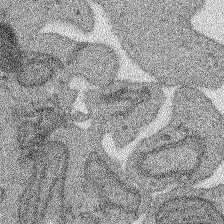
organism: Human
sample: HeLa cells